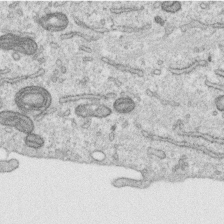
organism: Human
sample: Centriole in RPE cells